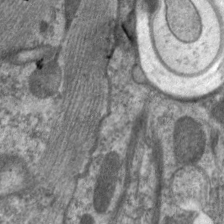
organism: C. elegans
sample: Pharynx